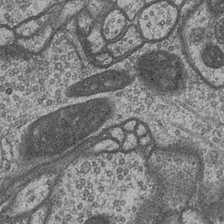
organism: Drosophila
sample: Optic medulla